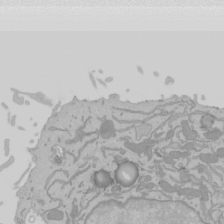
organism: Mouse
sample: Cancer cell death in ED-1 cells